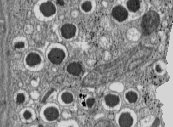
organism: C57BL Mouse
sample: Pancreatic islet